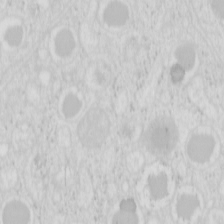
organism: Mouse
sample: Pancreas